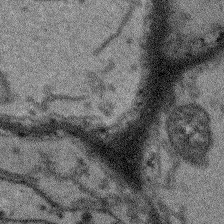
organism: Arabidopsis thaliana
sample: Root tip